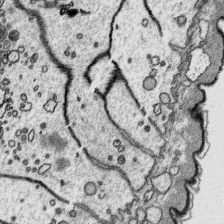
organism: Platynereis dumerilii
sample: Parapodia